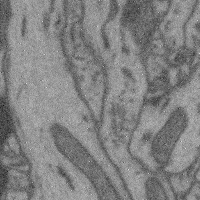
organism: Mouse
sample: Cerebral cortex